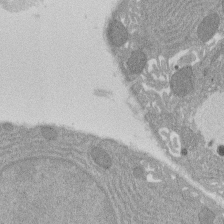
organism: Rat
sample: Salivary granule